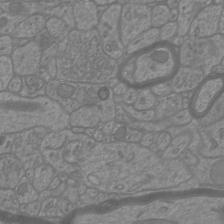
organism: Mouse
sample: Cortical neurons